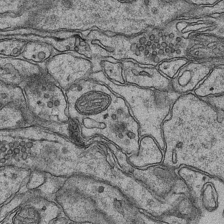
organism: Mouse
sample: CA1 Hippocampus